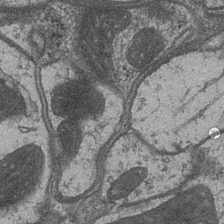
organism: Drosophila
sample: Optic medulla